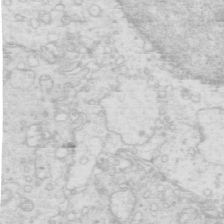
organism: Mouse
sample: Multiciliated cells